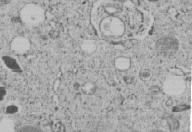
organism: C. elegans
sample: C. elegans embryo early stage